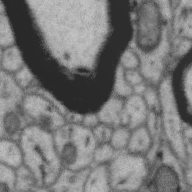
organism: Zebra finch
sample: Brain